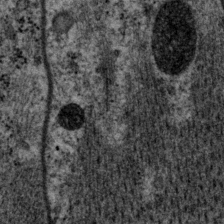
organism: P. pacificus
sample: Pharynx